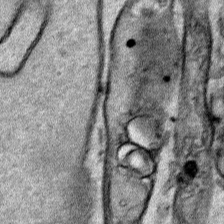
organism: Human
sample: Mitochondria in HCT116 cells